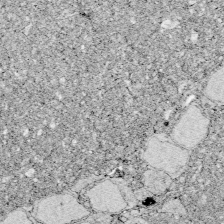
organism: Zebrafish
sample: Whole-Brain